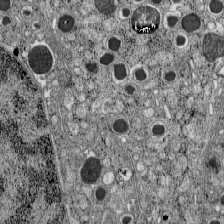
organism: C57BL Mouse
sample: Pancreatic islet